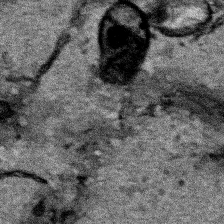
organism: Human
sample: Mitochondria in HCT116 cells